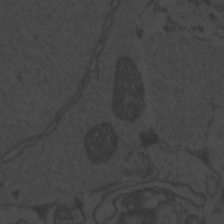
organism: Zebrafish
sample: Macrophage infected with Toxoplasma gondii